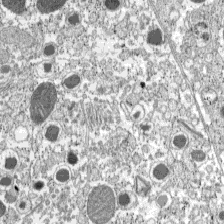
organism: C57BL Mouse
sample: Pancreatic islet